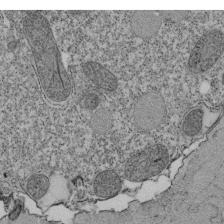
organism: Tetrahymena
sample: Cilia in tetrahymena